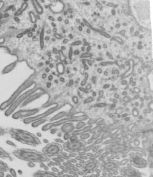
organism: Mouse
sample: Mouse epididymis efferent ductule cilia